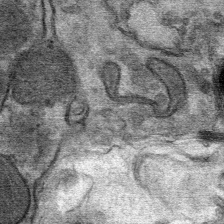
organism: Mouse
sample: Mouse Salivary gland